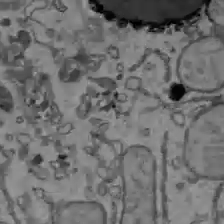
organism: C57BL Mouse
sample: Liver